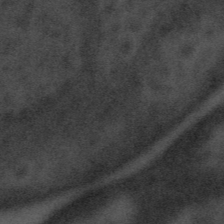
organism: Tuwongella immobilis